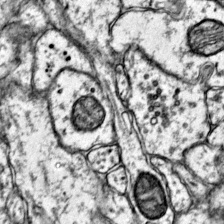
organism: Mouse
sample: Primary visual cortex